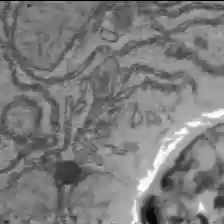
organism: C57BL Mouse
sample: Liver